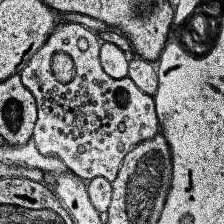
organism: Human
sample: Temporal Lobe